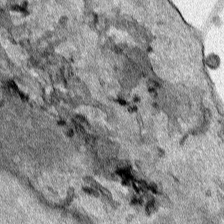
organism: Human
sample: Mitochondria in HCT116 cells